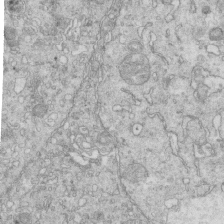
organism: Mouse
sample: Multiciliated cells